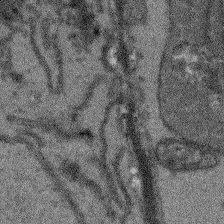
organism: Arabidopsis thaliana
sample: Root tip